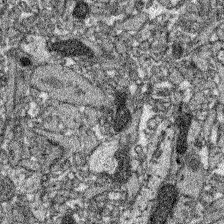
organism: Zebrafish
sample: Larval olfactory bulb